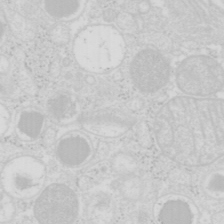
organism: Mouse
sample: Pancreas